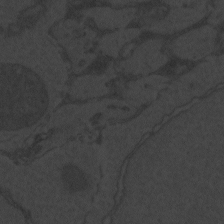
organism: Zebrafish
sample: Macrophage infected with Toxoplasma gondii